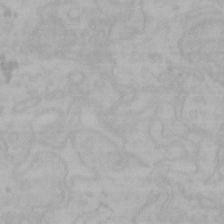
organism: Mouse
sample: Choroid plexus